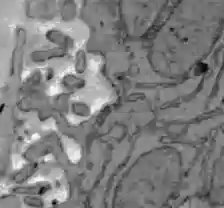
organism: C57BL Mouse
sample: Liver